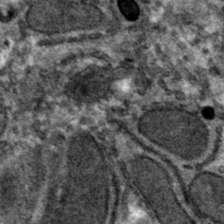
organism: Mouse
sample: Mouse hepatocytes